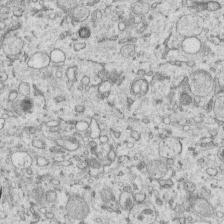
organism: Human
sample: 1205lu cells